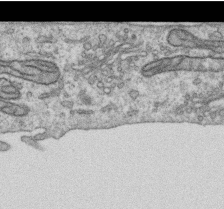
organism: Human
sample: Centriole in RPE cells